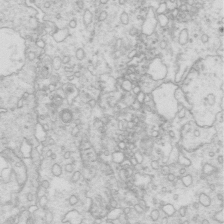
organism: Mouse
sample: Multiciliated cells